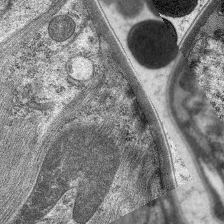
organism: C. elegans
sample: Pharynx